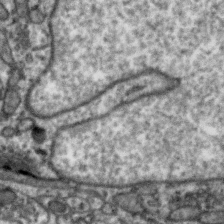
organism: Zebra finch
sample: Brain